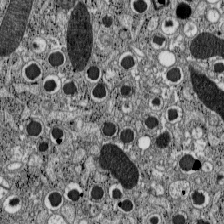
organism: C57BL Mouse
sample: Pancreatic islet